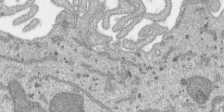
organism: Human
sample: Lung epithelial cells infected with SARS-CoV-2